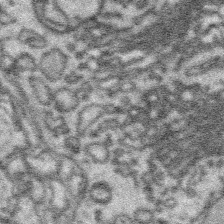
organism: Platynereis dumerilii